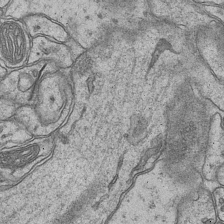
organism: Mouse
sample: CA1 Hippocampus